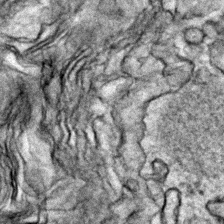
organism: Zebrafish